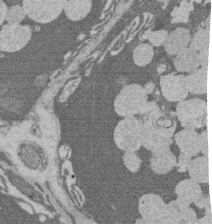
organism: Rat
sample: Salivary granule